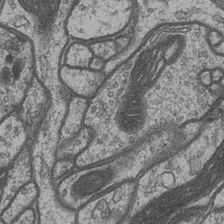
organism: Drosophila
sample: Optic medulla